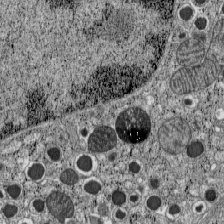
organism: C57BL Mouse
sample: Pancreatic islet